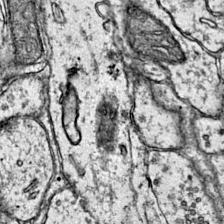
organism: Mouse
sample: Primary visual cortex